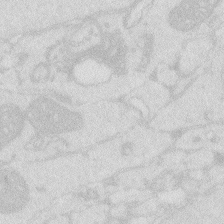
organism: Zebrafish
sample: Macrophage